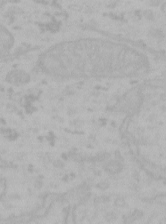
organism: Mouse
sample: Choroid plexus